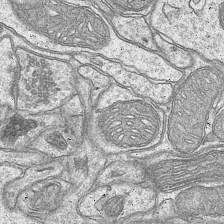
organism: Mouse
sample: CA1 Hippocampus